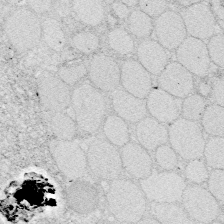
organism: Zebrafish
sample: Whole-Brain